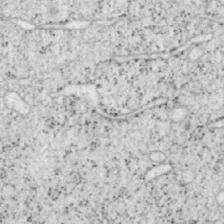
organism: Mouse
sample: OT-I killer T cells with ID8 ovarian cancer cells